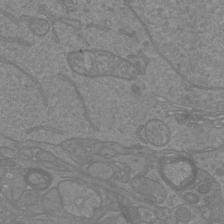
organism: Mouse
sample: Cortical neurons